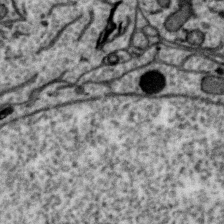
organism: Zebra finch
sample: Brain